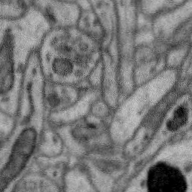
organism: Zebra finch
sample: Brain